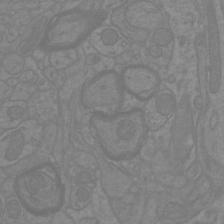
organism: Mouse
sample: Cortical neurons